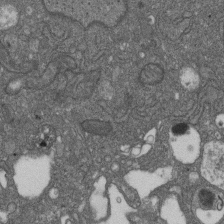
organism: Drosophila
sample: Nephrocyte